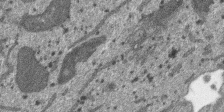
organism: Human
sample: Lung epithelial cells infected with SARS-CoV-2